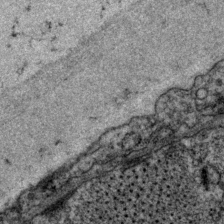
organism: P. pacificus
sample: Pharynx